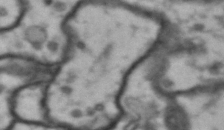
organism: Drosophila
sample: Brain